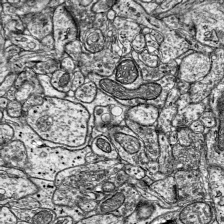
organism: Mouse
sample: Visual Cortex